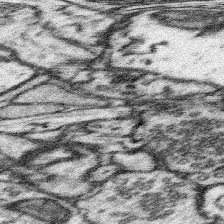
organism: Mouse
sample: Somatosensory cortex neuropil